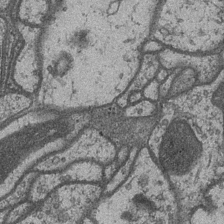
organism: Drosophila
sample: Optic medulla